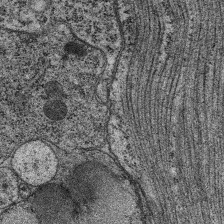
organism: C. elegans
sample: Pharynx